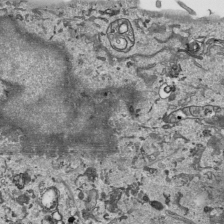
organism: Human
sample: Mitochondria in HCT116 cells